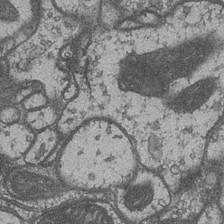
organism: Drosophila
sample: Optic medulla